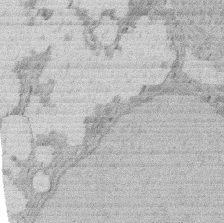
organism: Rat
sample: Salivary granule